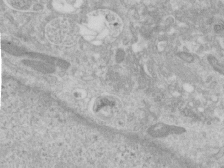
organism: Human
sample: Centriole in RPE cells